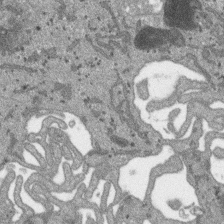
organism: Human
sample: Lung epithelial cells infected with SARS-CoV-2